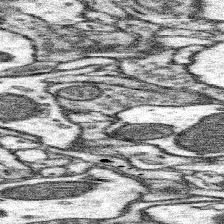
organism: Mouse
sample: Somatosensory cortex neuropil